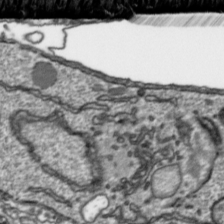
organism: Toxoplasma gondii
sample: Parasites in a vacuole inside a host cell